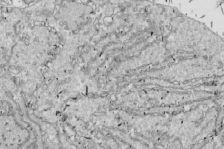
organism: Drosophila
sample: Cell division; meiosis; drosophila spermatocytes